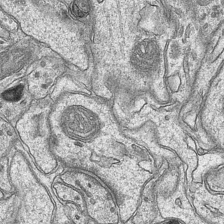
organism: Mouse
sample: CA1 Hippocampus